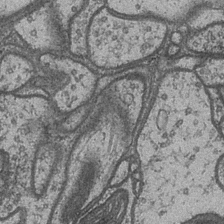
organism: Drosophila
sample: Optic medulla